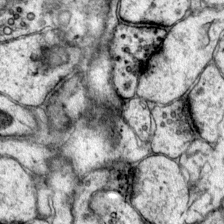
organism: Mouse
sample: Primary visual cortex